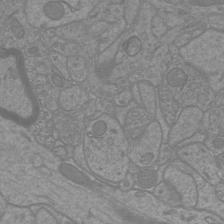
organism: Mouse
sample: Cortical neurons